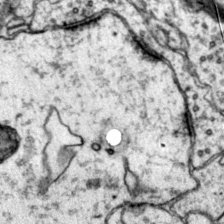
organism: Mouse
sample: Primary visual cortex